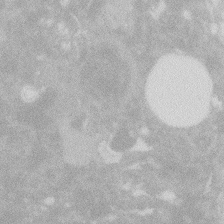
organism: Zebrafish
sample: Macrophage